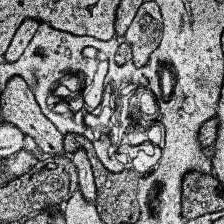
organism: Human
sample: Temporal Lobe